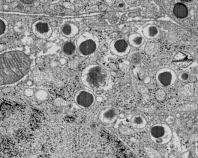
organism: C57BL Mouse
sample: Pancreatic islet